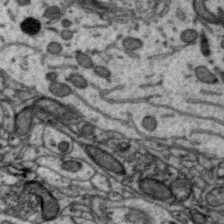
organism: Zebra finch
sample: Brain